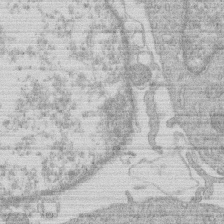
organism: Human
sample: Macrophage cells